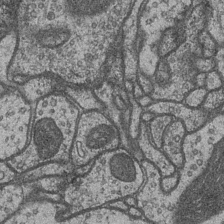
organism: Drosophila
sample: Optic medulla